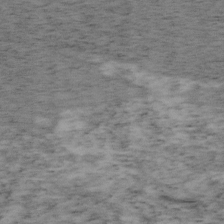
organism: Mouse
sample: OT-I killer T cells with ID8 ovarian cancer cells